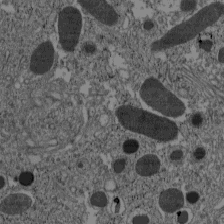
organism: C57BL Mouse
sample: Pancreatic islet